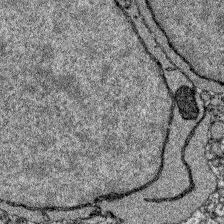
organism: Zebrafish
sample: Larval olfactory bulb